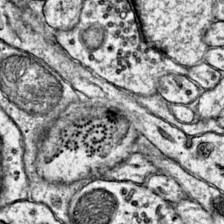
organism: Mouse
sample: Primary visual cortex